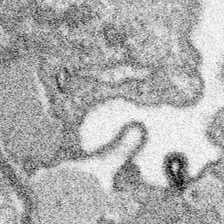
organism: Spongilla lacustris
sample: Neuroid cell